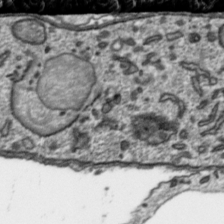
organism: Toxoplasma gondii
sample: Parasites in a vacuole inside a host cell